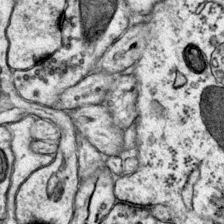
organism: Mouse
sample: Primary visual cortex